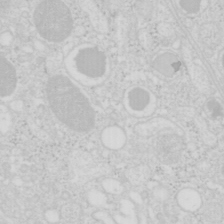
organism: Mouse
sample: Pancreas